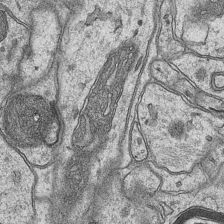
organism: Mouse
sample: CA1 Hippocampus